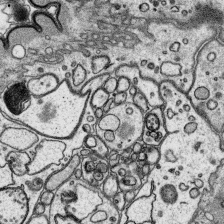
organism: Platynereis dumerilii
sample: Parapodia